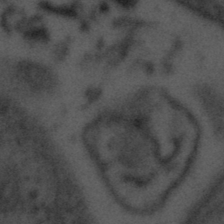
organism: Tuwongella immobilis